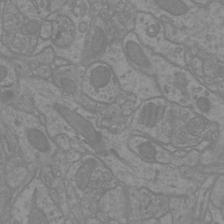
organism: Mouse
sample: Cortical neurons